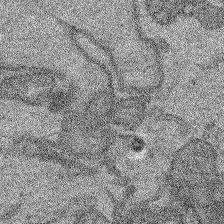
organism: Human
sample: HeLa cells